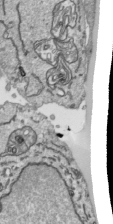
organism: Human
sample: Mitochondria in HCT116 cells